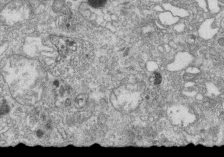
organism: Human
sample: HeLa cell HIV synapse